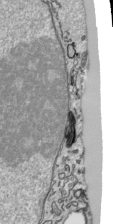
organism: Human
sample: Mitochondria in HCT116 cells